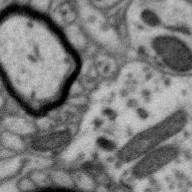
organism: Zebra finch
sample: Brain